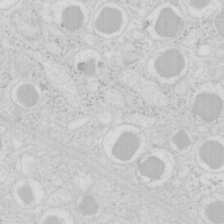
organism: Mouse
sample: Pancreas